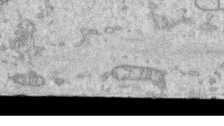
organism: Human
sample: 1205lu cells